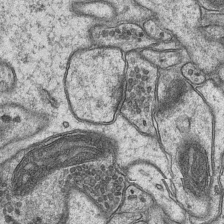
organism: Mouse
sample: CA1 Hippocampus